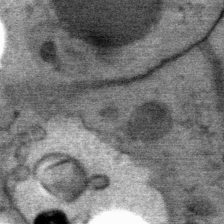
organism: Mouse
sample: Mouse Salivary gland